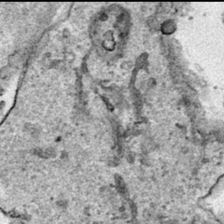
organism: Human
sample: Mitochondria in HCT116 cells